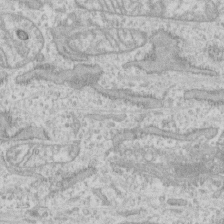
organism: Human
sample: CRL-1474